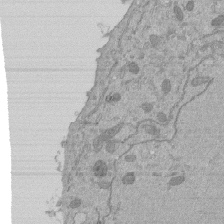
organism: Mouse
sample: ED-1 cell nuclei; centrioles